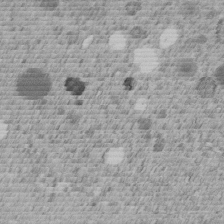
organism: C. elegans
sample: C. elegans embryo early stage